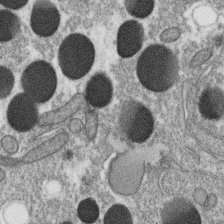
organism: C. elegans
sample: C. elegans oocyte; sperm cells